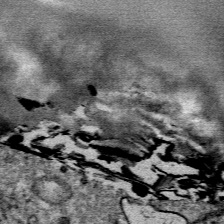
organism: Mouse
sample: Mouse Salivary gland